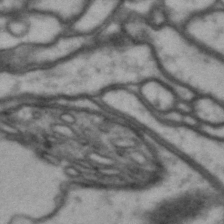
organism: Drosophila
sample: Brain